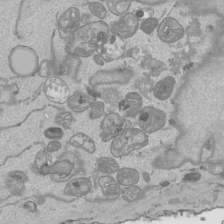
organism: Human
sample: Mitochondria in HCT116 cells